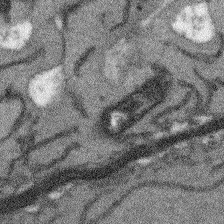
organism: Arabidopsis thaliana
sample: Root tip